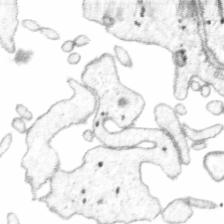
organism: Human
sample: HeLa cells